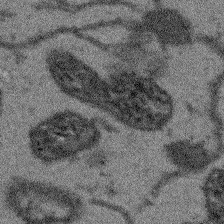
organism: Arabidopsis thaliana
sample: Root tip